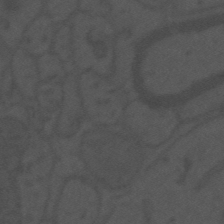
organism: Mouse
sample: Suprachiasmatic nucleus